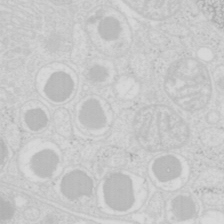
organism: Mouse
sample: Pancreas